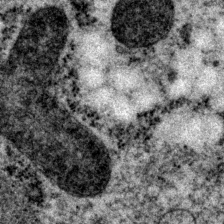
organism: P. pacificus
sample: Pharynx